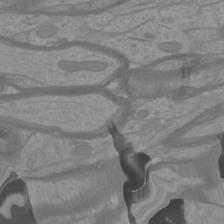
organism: Mouse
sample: Cortical neurons